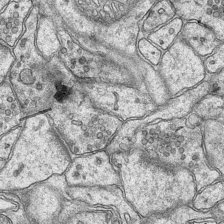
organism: Mouse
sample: CA1 Hippocampus